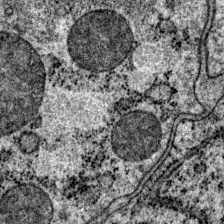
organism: P. pacificus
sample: Pharynx